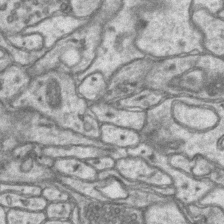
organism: Mouse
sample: CA1 Hippocampus